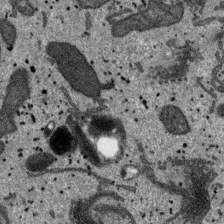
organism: Human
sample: Lung epithelial cells, uninfected (mock) control